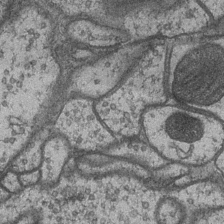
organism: Drosophila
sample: Optic medulla